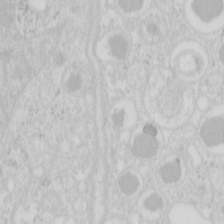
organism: Mouse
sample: Pancreas